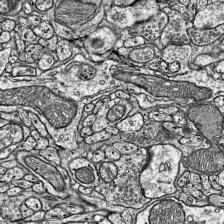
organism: Mouse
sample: Visual Cortex